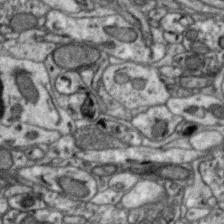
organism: Zebra finch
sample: Brain